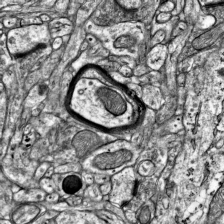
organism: Mouse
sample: Visual Cortex